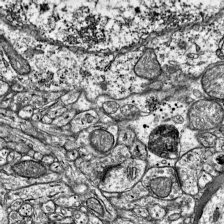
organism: Mouse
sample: Visual Cortex